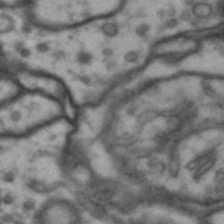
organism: Drosophila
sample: Brain